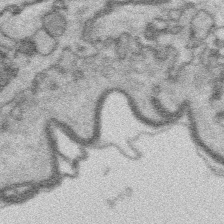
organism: Platynereis dumerilii